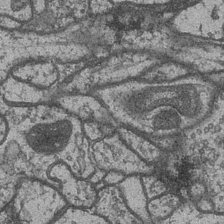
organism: Drosophila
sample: Optic medulla